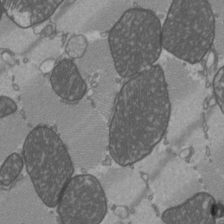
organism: C57BL Mouse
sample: Heart